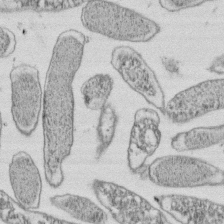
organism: E. coli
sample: Bacterial nucleoid